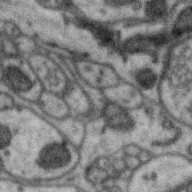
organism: Zebra finch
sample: Brain